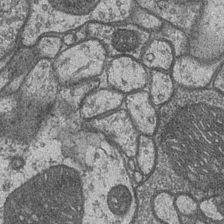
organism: Drosophila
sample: Optic medulla